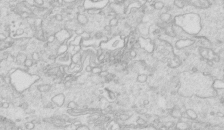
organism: Mouse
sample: Multiciliated cells